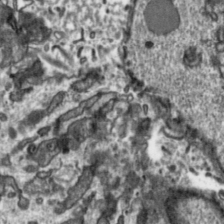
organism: Toxoplasma gondii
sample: Parasites in a vacuole inside a host cell